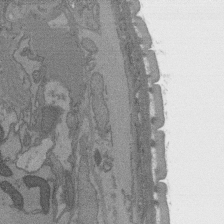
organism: C. elegans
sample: AFD neurons C. elegans